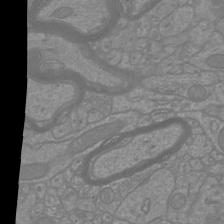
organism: Mouse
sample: Cortical neurons